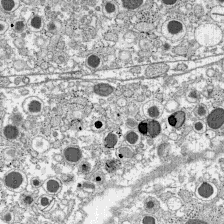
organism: C57BL Mouse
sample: Pancreatic islet